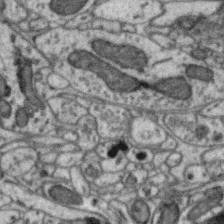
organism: Zebra finch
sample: Brain